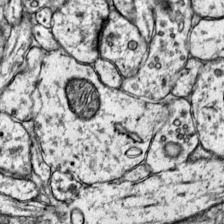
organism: Mouse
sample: Primary visual cortex